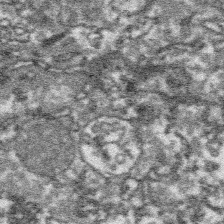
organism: Platynereis dumerilii